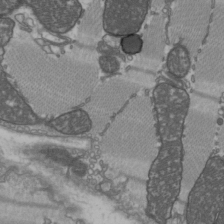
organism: C57BL Mouse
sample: Heart